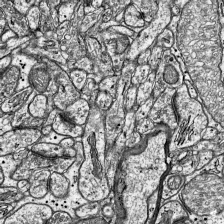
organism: Mouse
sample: Visual Cortex